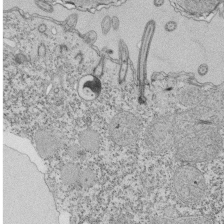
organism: Tetrahymena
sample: Cilia in tetrahymena